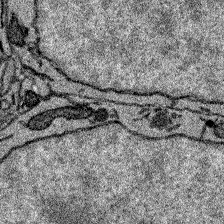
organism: Zebrafish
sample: Larval olfactory bulb